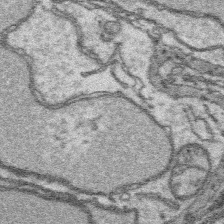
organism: Platynereis dumerilii